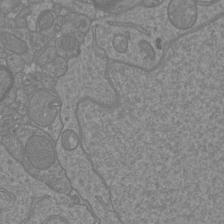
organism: Mouse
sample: Cortical neurons